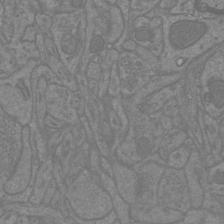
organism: Mouse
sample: Cortical neurons